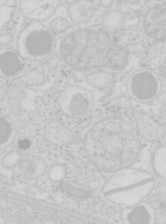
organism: Mouse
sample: Pancreas